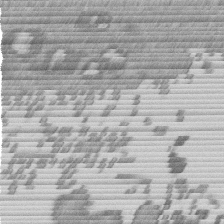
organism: Mouse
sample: Dividing mouse embryo 1 cell stage